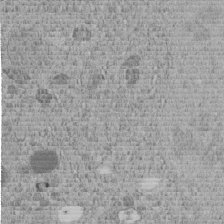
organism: C. elegans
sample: C. elegans embryo early stage